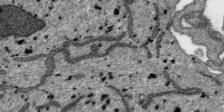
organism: Human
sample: Lung epithelial cells, uninfected (mock) control